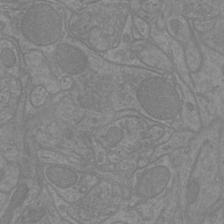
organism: Mouse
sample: Cortical neurons